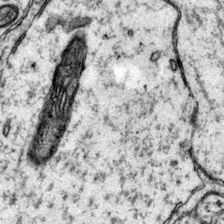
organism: Mouse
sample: Primary visual cortex